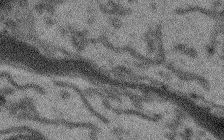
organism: Arabidopsis thaliana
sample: Root tip